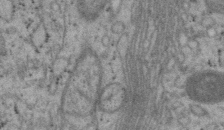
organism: Human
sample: HeLa cells